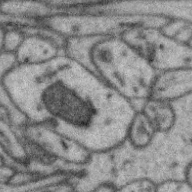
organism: Zebra finch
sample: Brain